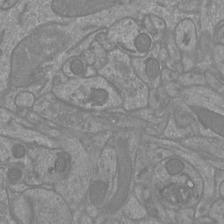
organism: Mouse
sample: Cortical neurons